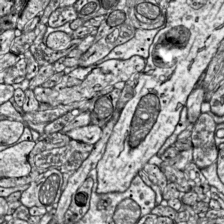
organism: Mouse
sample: Visual Cortex